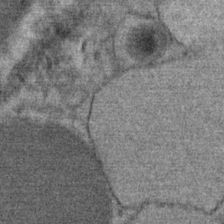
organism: Mouse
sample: Mouse Salivary gland